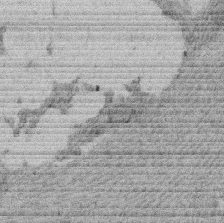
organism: Rat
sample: Salivary granule